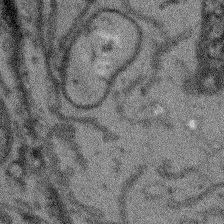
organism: Arabidopsis thaliana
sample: Root tip